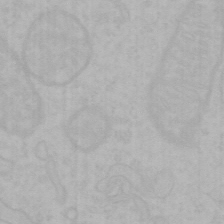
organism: Mouse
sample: Choroid plexus